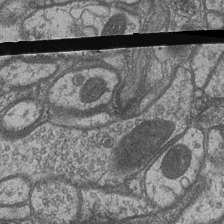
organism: Drosophila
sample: Optic medulla